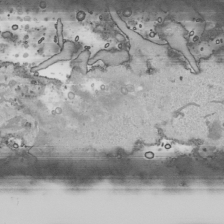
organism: Human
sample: Mitochondria in HCT116 cells